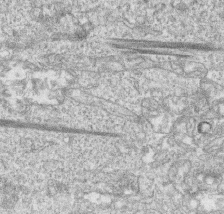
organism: Human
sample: HeLa cell HIV synapse